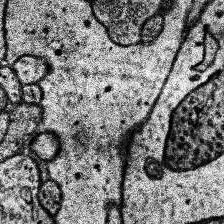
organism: Human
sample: Temporal Lobe